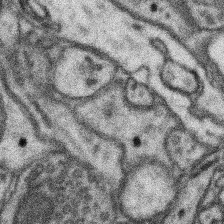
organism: Mouse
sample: Somatosensory cortex neuropil